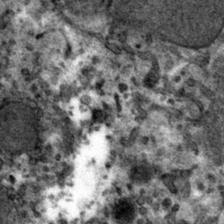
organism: Mouse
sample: Mouse hepatocytes